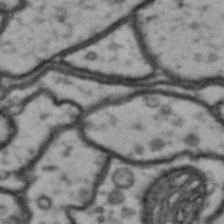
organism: Drosophila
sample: Brain